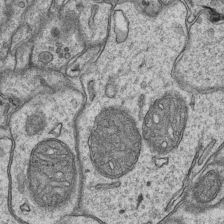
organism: Mouse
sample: CA1 Hippocampus